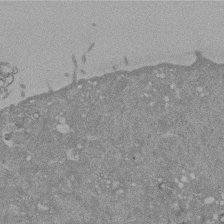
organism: Mouse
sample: ED-1 cell nuclei; centrioles